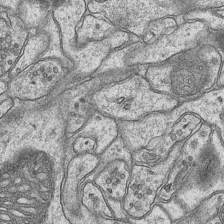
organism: Mouse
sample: CA1 Hippocampus